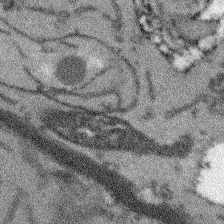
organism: Arabidopsis thaliana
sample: Root tip